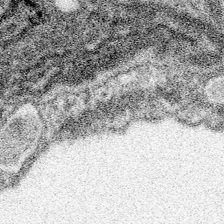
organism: Spongilla lacustris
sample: Neuroid cell